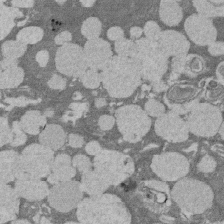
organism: Rat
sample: Salivary granule